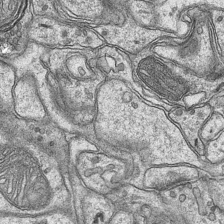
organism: Mouse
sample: CA1 Hippocampus